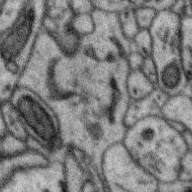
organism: Zebra finch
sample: Brain